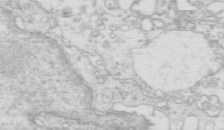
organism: Mouse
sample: Multiciliated cells